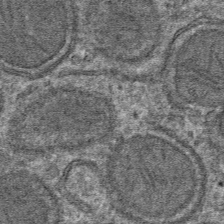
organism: Mouse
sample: Mouse hepatocytes